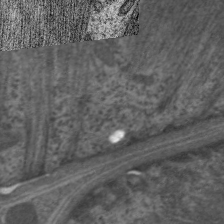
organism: C. elegans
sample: Pharynx